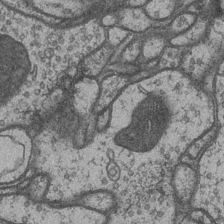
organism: Drosophila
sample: Optic medulla